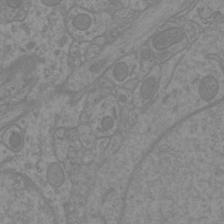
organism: Mouse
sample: Cortical neurons